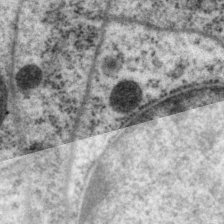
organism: P. pacificus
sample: Pharynx